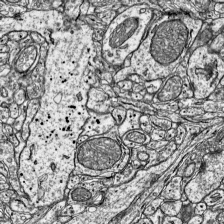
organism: Mouse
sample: Visual Cortex